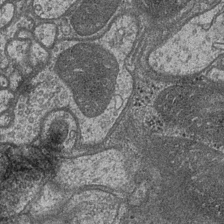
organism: Drosophila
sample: Optic medulla